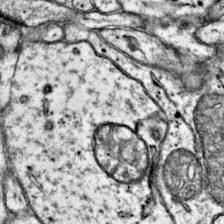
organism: Mouse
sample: Primary visual cortex